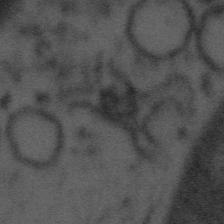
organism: Tuwongella immobilis